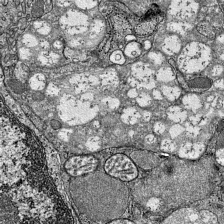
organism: Mouse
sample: Visual Cortex